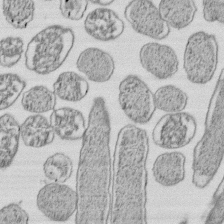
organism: E. coli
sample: Bacterial nucleoid